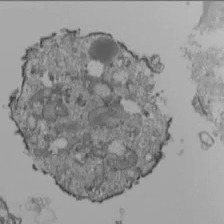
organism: Human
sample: Jurkat E6-1 and CD4 cells